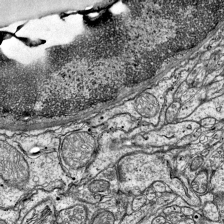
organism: Mouse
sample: Visual Cortex